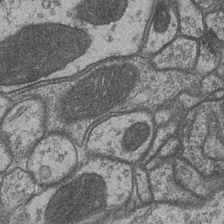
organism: Drosophila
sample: Optic medulla